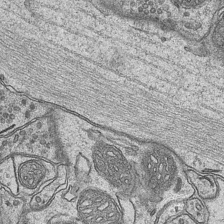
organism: Mouse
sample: CA1 Hippocampus